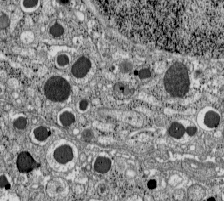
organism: C57BL Mouse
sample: Pancreatic islet